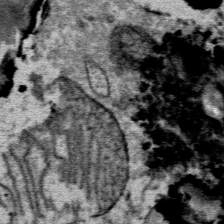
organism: Mouse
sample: Mouse Salivary gland